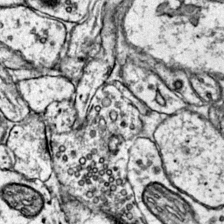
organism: Mouse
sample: Primary visual cortex